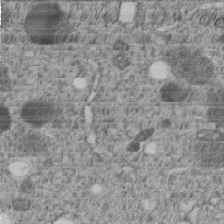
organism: C. elegans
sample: C. elegans embryo early stage